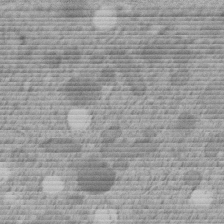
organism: C. elegans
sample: C. elegans embryo early stage